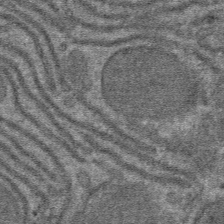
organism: Mouse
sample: Mouse hepatocytes